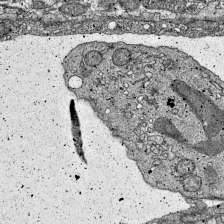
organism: Mouse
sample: Visual Cortex